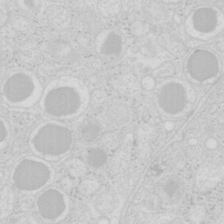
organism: Mouse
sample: Pancreas